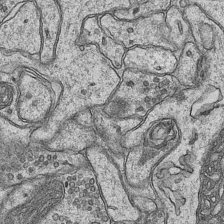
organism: Mouse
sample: CA1 Hippocampus